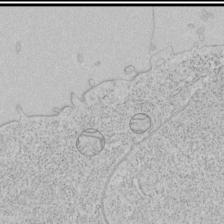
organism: Human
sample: Mitochondria in HCT116 cells